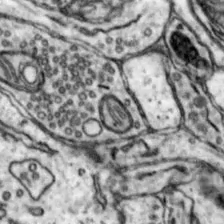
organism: Mouse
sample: Nucleus accumbens